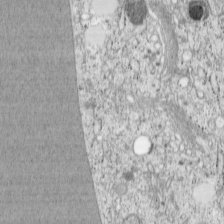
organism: African green monkey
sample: COS-7 cells